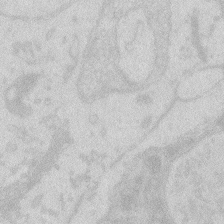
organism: Zebrafish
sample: Macrophage